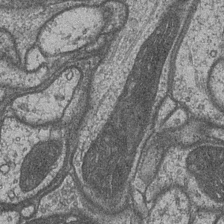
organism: Drosophila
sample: Optic medulla